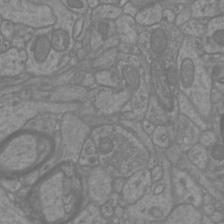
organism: Mouse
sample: Cortical neurons